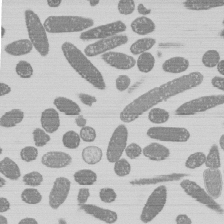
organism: E. coli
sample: Bacterial nucleoid